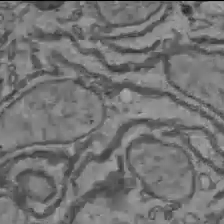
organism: C57BL Mouse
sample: Liver